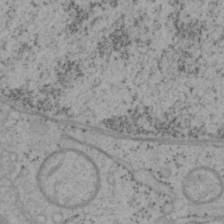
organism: Human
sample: HeLa cells